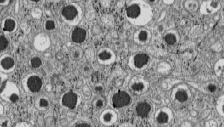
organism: C57BL Mouse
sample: Pancreatic islet